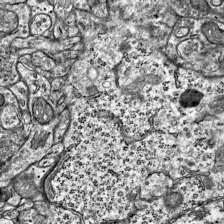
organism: Mouse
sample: Visual Cortex